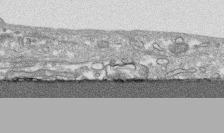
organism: Human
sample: CRL-1474